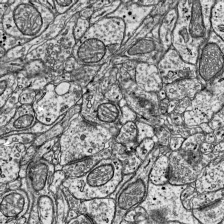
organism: Mouse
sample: Visual Cortex